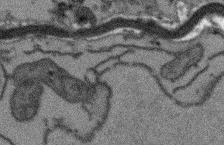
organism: Arabidopsis thaliana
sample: Root tip